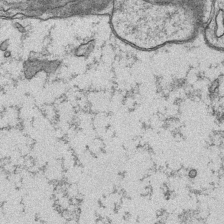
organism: Mouse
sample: CA1 Hippocampus